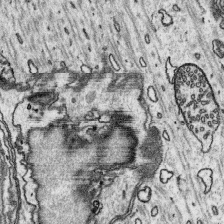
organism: Platynereis dumerilii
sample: Parapodia